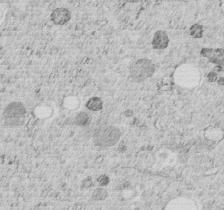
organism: C. elegans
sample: C. elegans embryo early stage